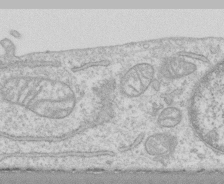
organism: Human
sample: CRL-1474